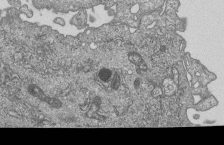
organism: Human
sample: MDA-MB-231 cells